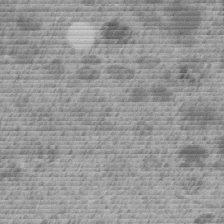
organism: C. elegans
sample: C. elegans embryo early stage